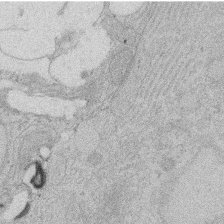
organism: Rat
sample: Salivary granule